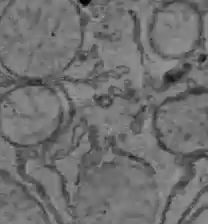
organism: C57BL Mouse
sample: Liver